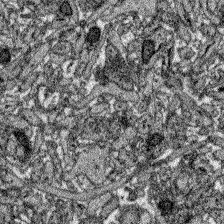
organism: Zebrafish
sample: Larval olfactory bulb